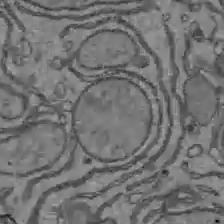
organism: C57BL Mouse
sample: Liver